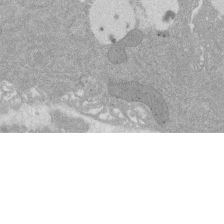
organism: Rat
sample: Salivary granule